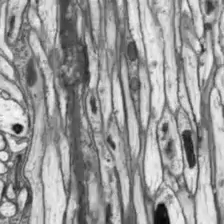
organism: Drosophila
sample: Optic lobe